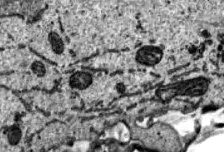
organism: Human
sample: HeLa cells